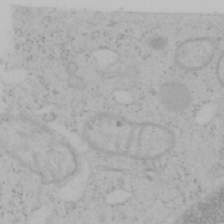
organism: Mouse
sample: OT-I killer T cells with ID8 ovarian cancer cells